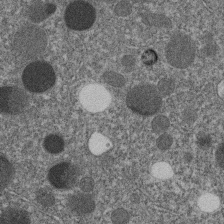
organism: C. elegans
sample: C. elegans embryo early stage